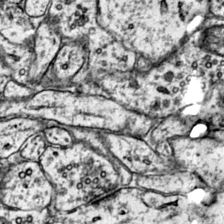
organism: Mouse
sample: Primary visual cortex